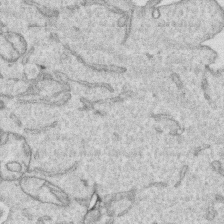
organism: Human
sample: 1205lu cells